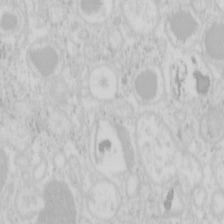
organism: Mouse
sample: Pancreas